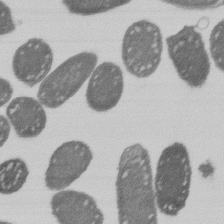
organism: E. coli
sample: Bacterial nucleoid